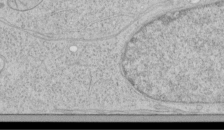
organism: Human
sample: Mitochondria in HCT116 cells